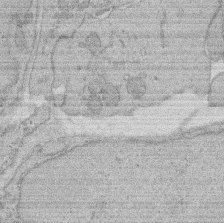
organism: Rat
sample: Salivary granule